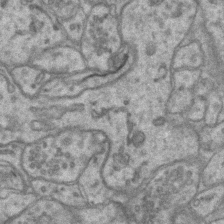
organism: Mouse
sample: CA1 Hippocampus